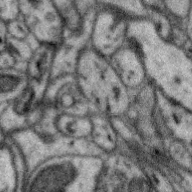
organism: Zebra finch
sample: Brain